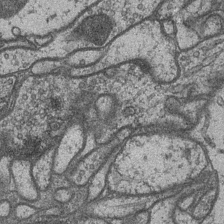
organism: Drosophila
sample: Optic medulla